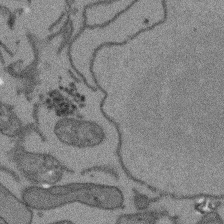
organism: Arabidopsis thaliana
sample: Root tip